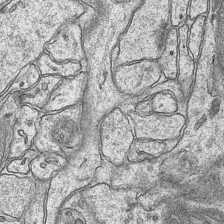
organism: Mouse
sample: CA1 Hippocampus